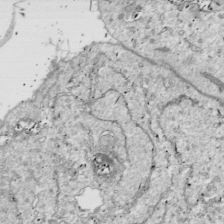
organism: Drosophila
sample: Cell division; meiosis; drosophila spermatocytes